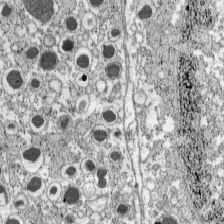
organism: C57BL Mouse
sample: Pancreatic islet